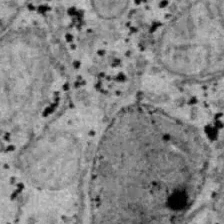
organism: Mouse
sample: Liver from an obese (ob/ob) mouse